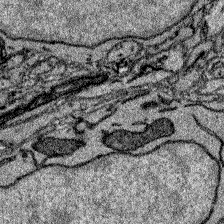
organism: Zebrafish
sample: Larval olfactory bulb